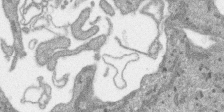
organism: Human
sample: Lung epithelial cells infected with SARS-CoV-2